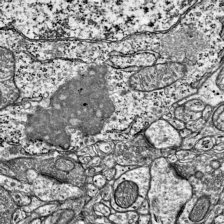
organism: Mouse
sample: Visual Cortex